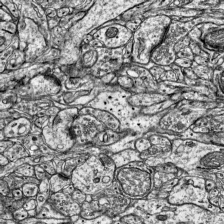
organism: Mouse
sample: Visual Cortex